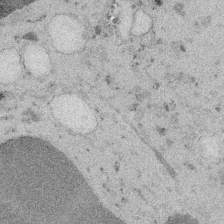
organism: Embia sp.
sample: Silk gland